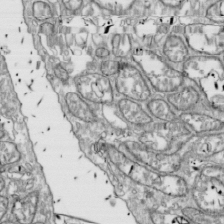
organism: Drosophila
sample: Cell division; meiosis; drosophila spermatocytes